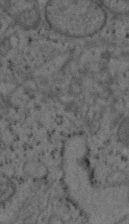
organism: Human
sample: HeLa cells